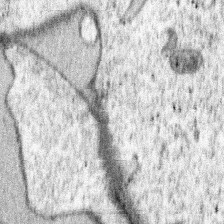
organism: Human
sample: HeLa cells